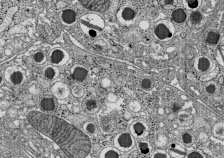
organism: C57BL Mouse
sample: Pancreatic islet